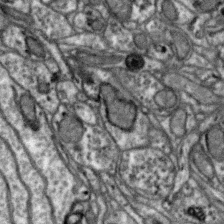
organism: Zebra finch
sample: Brain